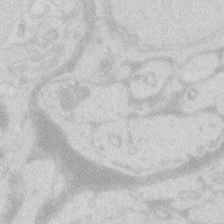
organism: Zebrafish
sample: Macrophage